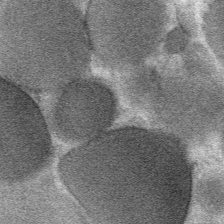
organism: Mouse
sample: Mouse Salivary gland